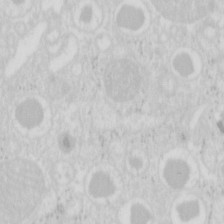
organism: Mouse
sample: Pancreas